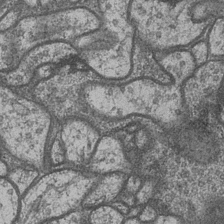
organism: Drosophila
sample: Optic medulla